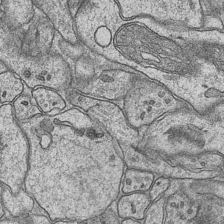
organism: Mouse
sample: CA1 Hippocampus